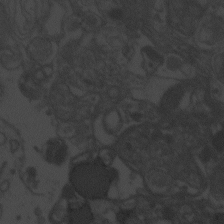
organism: Zebrafish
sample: Macrophage infected with Toxoplasma gondii